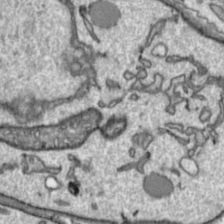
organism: Toxoplasma gondii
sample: Parasites in a vacuole inside a host cell